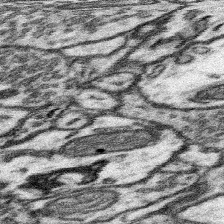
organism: Mouse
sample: Somatosensory cortex neuropil